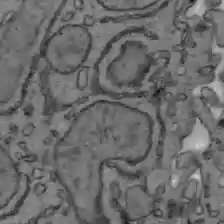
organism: C57BL Mouse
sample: Liver